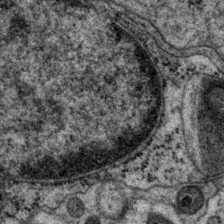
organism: P. pacificus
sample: Pharynx